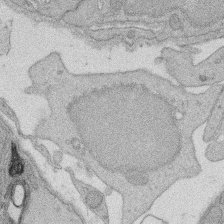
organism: Rat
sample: Salivary granule